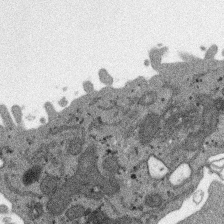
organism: Human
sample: Lung epithelial cells infected with SARS-CoV-2